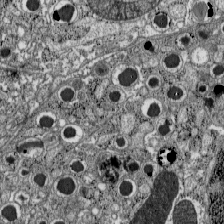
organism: C57BL Mouse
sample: Pancreatic islet